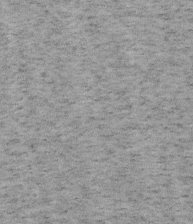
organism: Mouse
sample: OT-I killer T cells with ID8 ovarian cancer cells